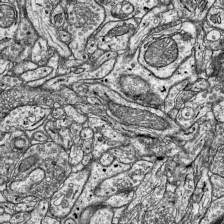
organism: Mouse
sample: Visual Cortex